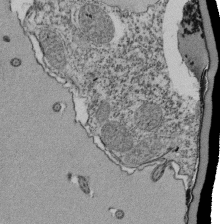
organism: Tetrahymena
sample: Cilia in tetrahymena